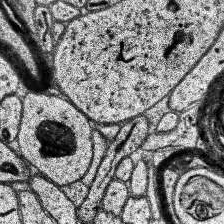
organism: Human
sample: Temporal Lobe